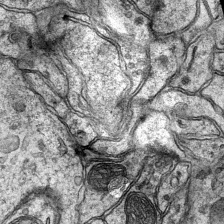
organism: Mouse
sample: CA1 Hippocampus